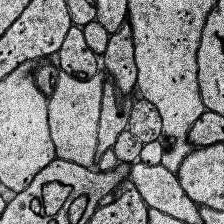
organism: Human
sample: Temporal Lobe